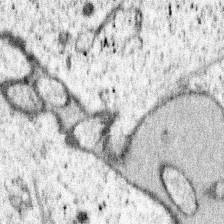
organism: Human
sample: HeLa cells